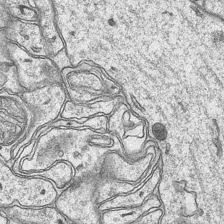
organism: Mouse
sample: CA1 Hippocampus